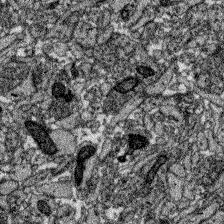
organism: Zebrafish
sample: Larval olfactory bulb